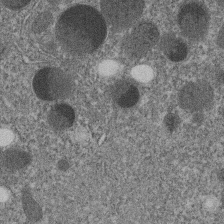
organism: C. elegans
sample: C. elegans embryo early stage